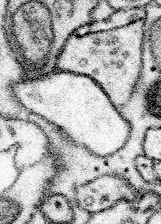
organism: Mouse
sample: Somatosensory cortex neuropil